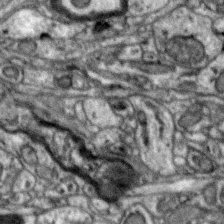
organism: Zebra finch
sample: Brain